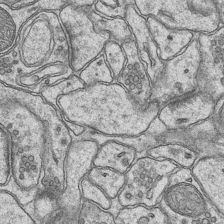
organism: Mouse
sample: CA1 Hippocampus